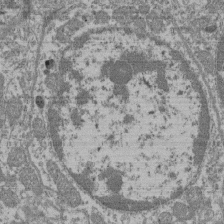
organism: Mouse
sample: Glomerulus